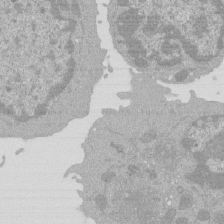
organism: Mouse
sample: Activated Pmel transgenic CD8+ T Cells